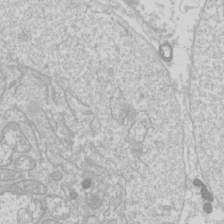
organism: Drosophila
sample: Cell division; meiosis; drosophila spermatocytes